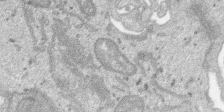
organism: Human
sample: Lung epithelial cells infected with SARS-CoV-2